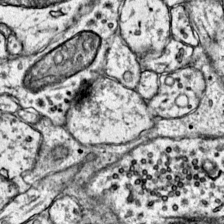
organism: Mouse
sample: Primary visual cortex